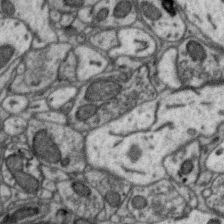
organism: Zebra finch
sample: Brain